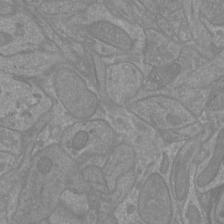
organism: Mouse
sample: Cortical neurons